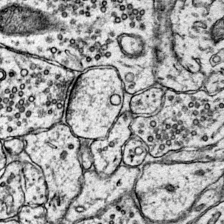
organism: Mouse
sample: Primary visual cortex